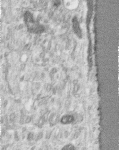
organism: Human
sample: Centriole in RPE cells